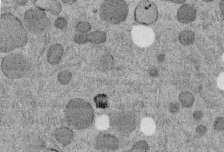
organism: C. elegans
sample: C. elegans embryo early stage